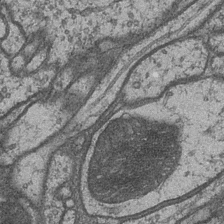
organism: Drosophila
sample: Optic medulla